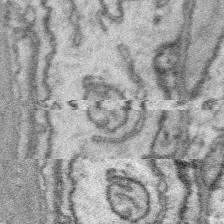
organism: Platynereis dumerilii